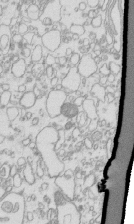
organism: Mouse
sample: Macrophages